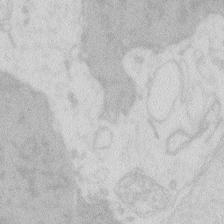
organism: Zebrafish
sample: Macrophage